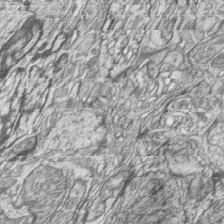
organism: Zebrafish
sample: synaptic ribbons in rod cells and cone cells